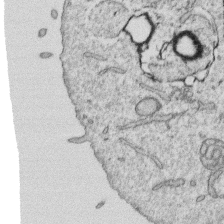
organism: Human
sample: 1205lu cells